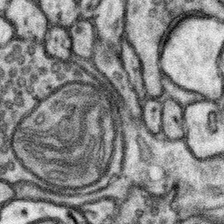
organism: Mouse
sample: Somatosensory cortex neuropil